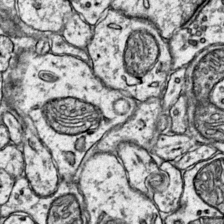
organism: Mouse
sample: Primary visual cortex